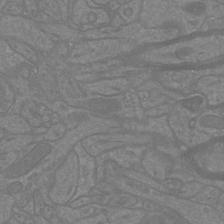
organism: Mouse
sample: Cortical neurons